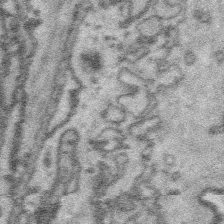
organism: Platynereis dumerilii